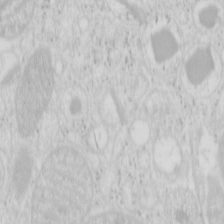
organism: Mouse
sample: Pancreas